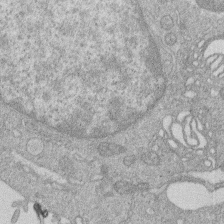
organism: Human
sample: Macrophage cells